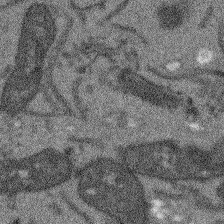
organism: Arabidopsis thaliana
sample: Root tip